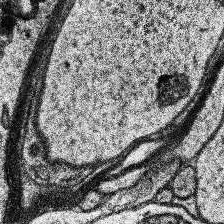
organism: Human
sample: Temporal Lobe